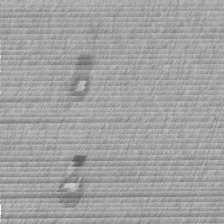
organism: Mouse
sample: Dividing mouse embryo 1 cell stage